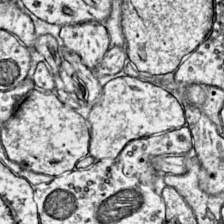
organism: Mouse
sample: Primary visual cortex